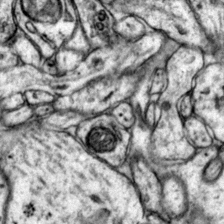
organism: Mouse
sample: Primary visual cortex